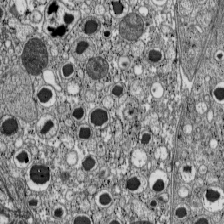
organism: C57BL Mouse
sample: Pancreatic islet